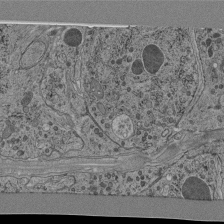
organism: C. elegans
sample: C. elegans pharynx